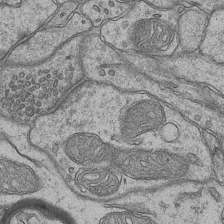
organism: Mouse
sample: CA1 Hippocampus